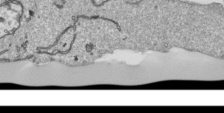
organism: Human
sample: Mitochondria in HCT116 cells